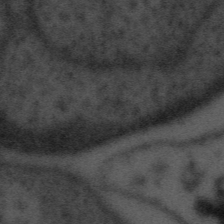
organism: Tuwongella immobilis